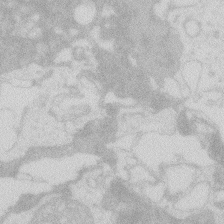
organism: Zebrafish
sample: Macrophage